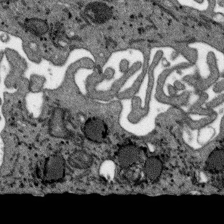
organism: Human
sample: Lung epithelial cells, uninfected (mock) control